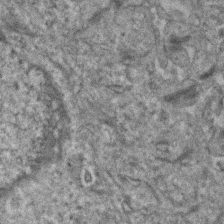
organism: Human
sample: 1205lu cells